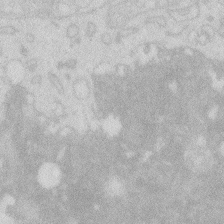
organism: Zebrafish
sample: Macrophage